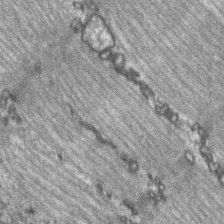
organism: C57BL Mouse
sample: Soleus